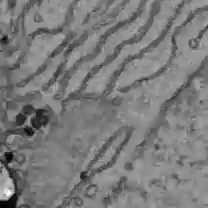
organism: C57BL Mouse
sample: Liver